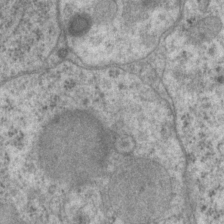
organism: P. pacificus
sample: Pharynx